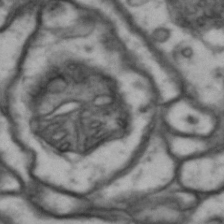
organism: Drosophila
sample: Brain